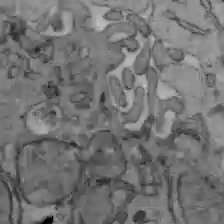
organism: C57BL Mouse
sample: Liver